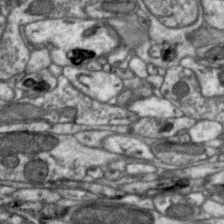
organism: Zebra finch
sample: Brain